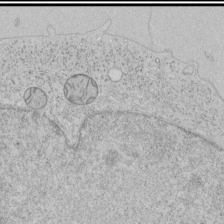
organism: Human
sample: Mitochondria in HCT116 cells